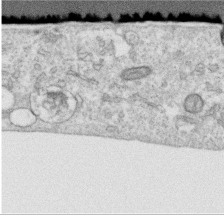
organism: Human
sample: Centriole in RPE cells